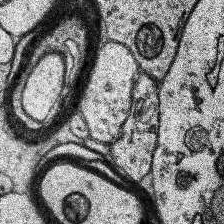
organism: Human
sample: Temporal Lobe